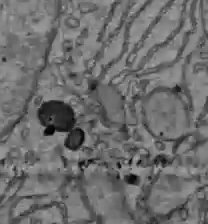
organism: C57BL Mouse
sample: Liver